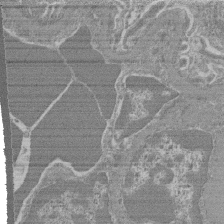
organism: Mouse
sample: Glomerulus